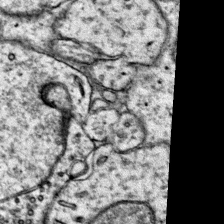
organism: Mouse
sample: Primary visual cortex